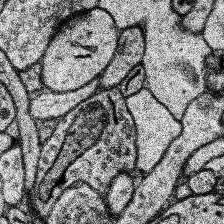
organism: Human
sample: Temporal Lobe